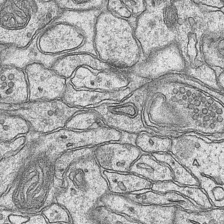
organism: Mouse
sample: CA1 Hippocampus